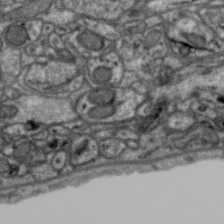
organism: Zebra finch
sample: Brain